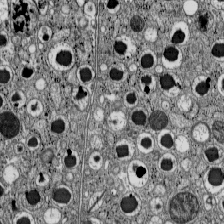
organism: C57BL Mouse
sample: Pancreatic islet